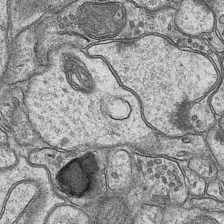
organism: Mouse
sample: CA1 Hippocampus